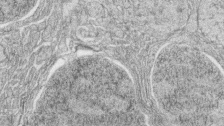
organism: Zebrafish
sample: synaptic ribbons in rod cells and cone cells